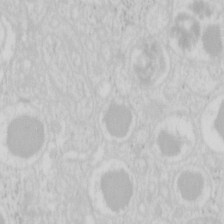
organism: Mouse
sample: Pancreas